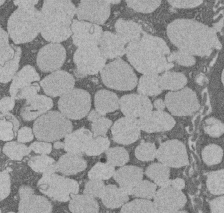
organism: Rat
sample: Salivary granule